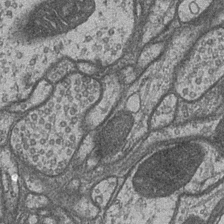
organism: Drosophila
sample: Optic medulla